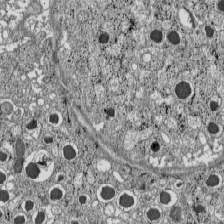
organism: C57BL Mouse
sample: Pancreatic islet